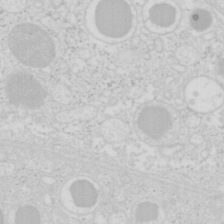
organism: Mouse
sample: Pancreas